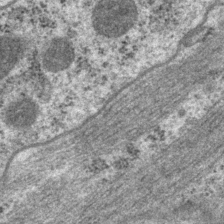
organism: P. pacificus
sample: Pharynx